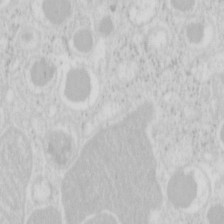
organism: Mouse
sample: Pancreas